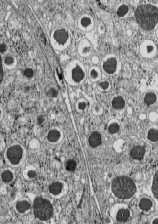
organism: C57BL Mouse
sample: Pancreatic islet